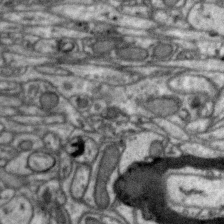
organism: Zebra finch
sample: Brain